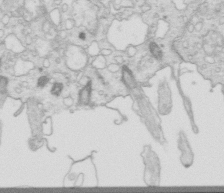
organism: Mouse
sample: Multiciliated cells